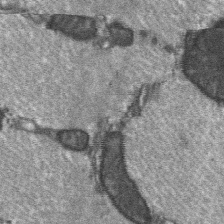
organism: C57BL Mouse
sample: Soleus